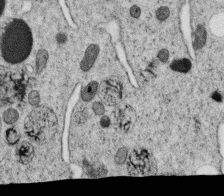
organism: C. elegans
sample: C. elegans oocyte; sperm cells